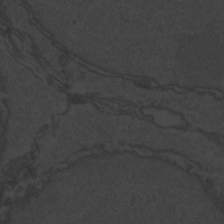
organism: Zebrafish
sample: Macrophage infected with Toxoplasma gondii